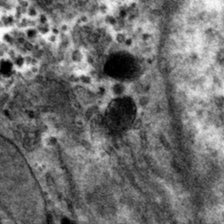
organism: Mouse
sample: Mouse hepatocytes